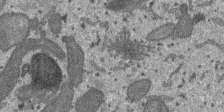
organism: Human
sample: Lung epithelial cells infected with SARS-CoV-2